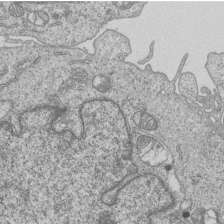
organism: Human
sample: MDA-MB-231 cells